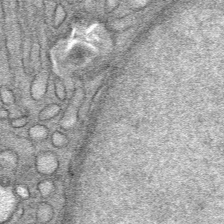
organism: Mouse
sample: Mouse Salivary gland